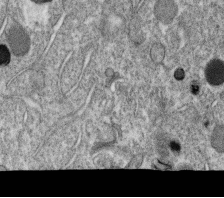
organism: C. elegans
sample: C. elegans oocyte; sperm cells